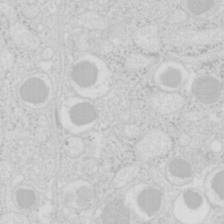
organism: Mouse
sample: Pancreas